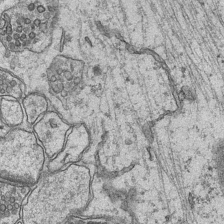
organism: Mouse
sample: CA1 Hippocampus